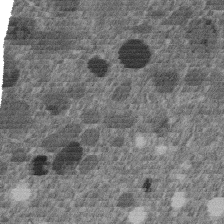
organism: C. elegans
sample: C. elegans embryo early stage